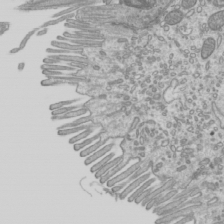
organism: Mouse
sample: Cilia; mouse epididymis